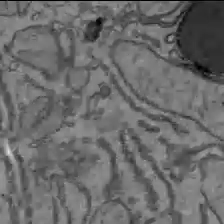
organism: C57BL Mouse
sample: Liver